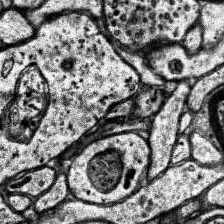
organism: Human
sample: Temporal Lobe